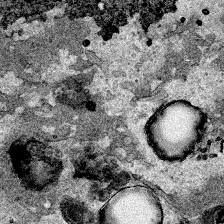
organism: Human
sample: Mitochondria in HCT116 cells